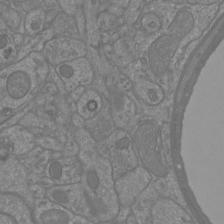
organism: Mouse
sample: Cortical neurons